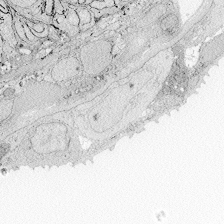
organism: Zebrafish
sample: Whole-Brain